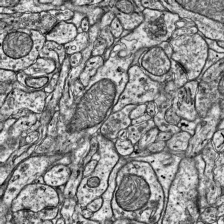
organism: Mouse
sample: Visual Cortex